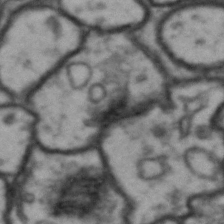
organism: Drosophila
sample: Brain